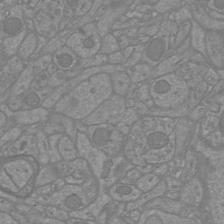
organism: Mouse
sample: Cortical neurons